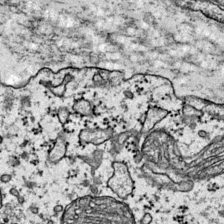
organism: Mouse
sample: Primary visual cortex